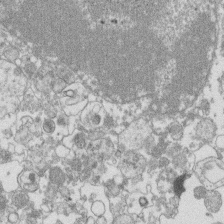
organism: Human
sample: HeLa cell HIV synapse